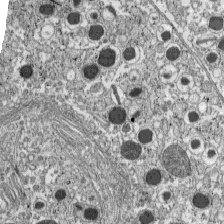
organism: C57BL Mouse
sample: Pancreatic islet